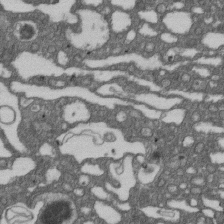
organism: Drosophila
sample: Nephrocyte